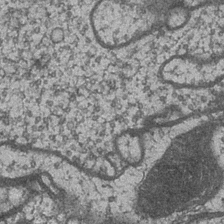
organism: Drosophila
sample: Optic medulla